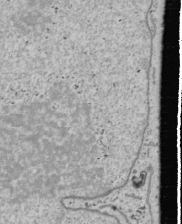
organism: Human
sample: Mitochondria in U2OS cells